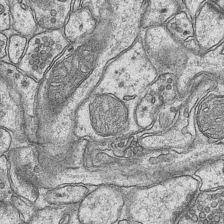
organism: Mouse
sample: CA1 Hippocampus